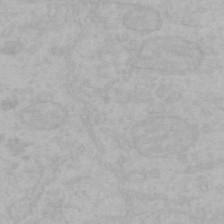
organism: Mouse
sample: Choroid plexus